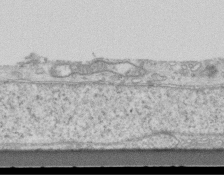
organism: Mouse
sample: Centriole in ependymal cells